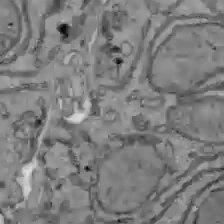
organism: C57BL Mouse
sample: Liver